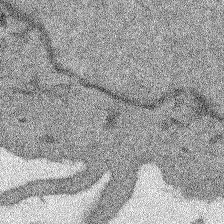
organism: Human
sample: HeLa cells